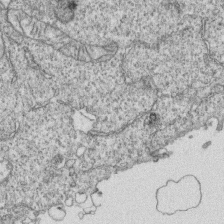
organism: Human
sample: HeLa cell HIV synapse